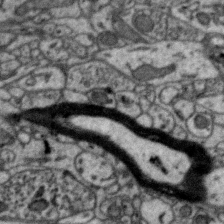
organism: Zebra finch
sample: Brain